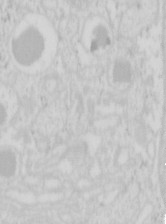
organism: Mouse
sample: Pancreas